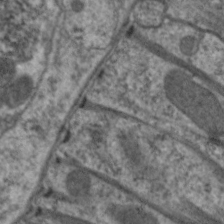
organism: C. elegans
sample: Pharynx